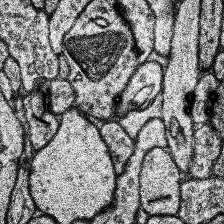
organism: Human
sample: Temporal Lobe